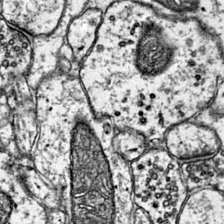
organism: Mouse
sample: Primary visual cortex